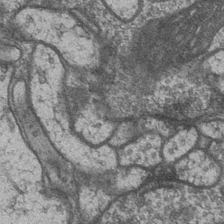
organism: Drosophila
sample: Optic medulla